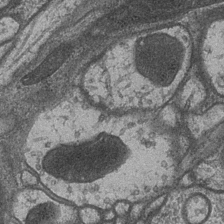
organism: Drosophila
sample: Optic medulla